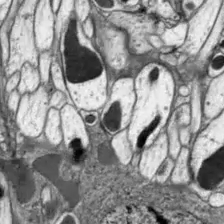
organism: Drosophila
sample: Optic lobe